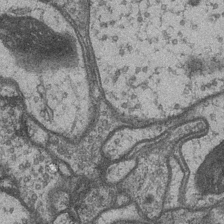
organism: Drosophila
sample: Optic medulla